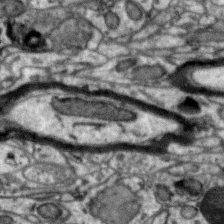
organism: Zebra finch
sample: Brain